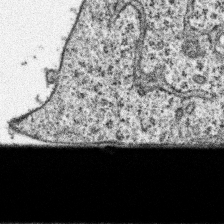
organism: Human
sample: HeLa cells